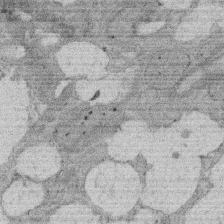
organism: Rat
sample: Salivary granule